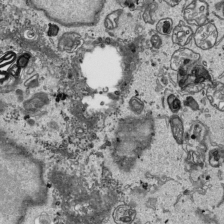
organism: Human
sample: Mitochondria in HCT116 cells